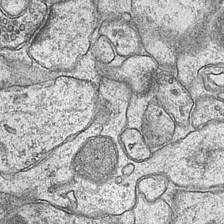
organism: Mouse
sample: CA1 Hippocampus